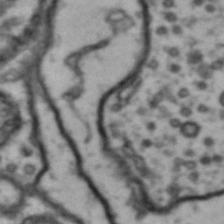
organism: Drosophila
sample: Brain